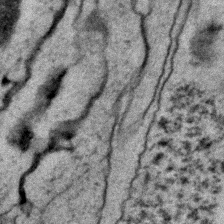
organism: C. elegans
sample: C. elegans embryo